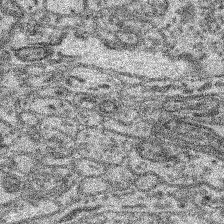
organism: Mouse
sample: Retina